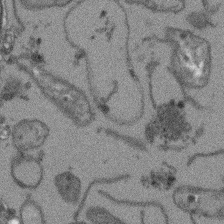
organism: Arabidopsis thaliana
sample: Root tip